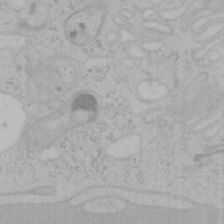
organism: Mouse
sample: OT-I killer T cells with ID8 ovarian cancer cells